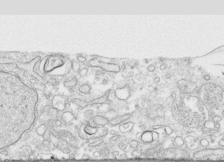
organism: Human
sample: CRL-1474